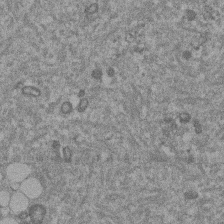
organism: Mouse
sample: Dividing mouse embryo 1 cell stage